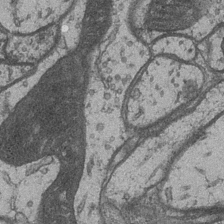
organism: Drosophila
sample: Optic medulla